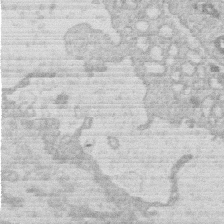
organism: Human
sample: Macrophage cells